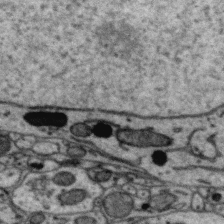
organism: Zebra finch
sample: Brain